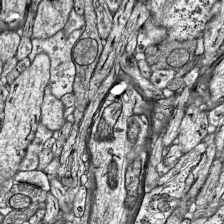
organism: Mouse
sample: Visual Cortex